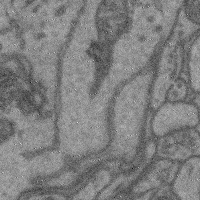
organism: Mouse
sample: Cerebral cortex